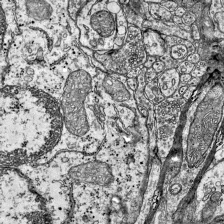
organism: Mouse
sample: Visual Cortex